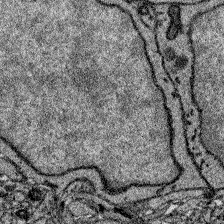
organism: Zebrafish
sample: Larval olfactory bulb